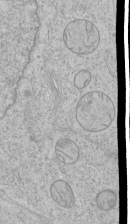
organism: Human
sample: Mitochondria in HCT116 cells